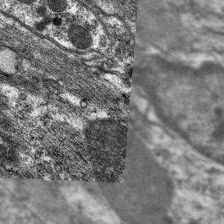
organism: C. elegans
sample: Pharynx